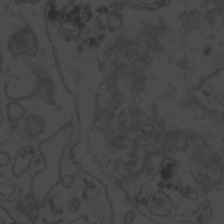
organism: Zebrafish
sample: Macrophage infected with Toxoplasma gondii